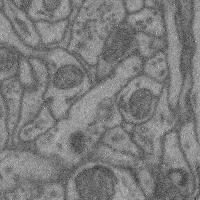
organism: Mouse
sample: Cerebral cortex